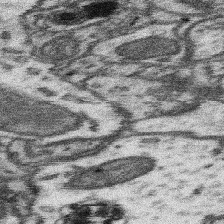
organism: Mouse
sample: Somatosensory cortex neuropil